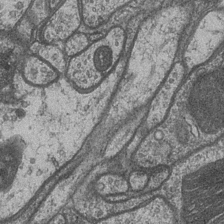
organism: Drosophila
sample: Optic medulla